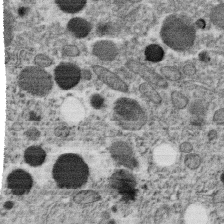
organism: C. elegans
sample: C. elegans oocyte; sperm cells